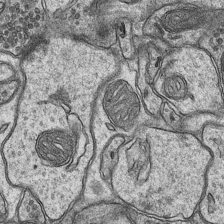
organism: Mouse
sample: CA1 Hippocampus